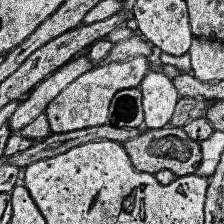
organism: Human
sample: Temporal Lobe